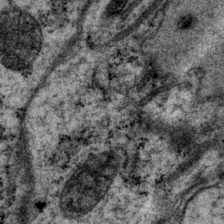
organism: P. pacificus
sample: Pharynx